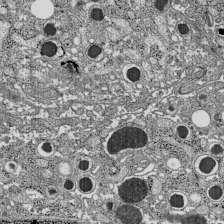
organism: C57BL Mouse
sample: Pancreatic islet